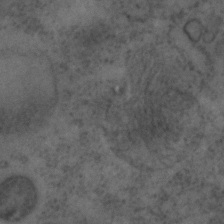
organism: C. elegans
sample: C. elegans embryo